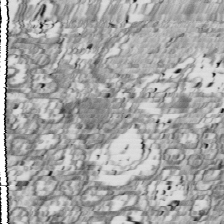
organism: Drosophila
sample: Cell division; meiosis; drosophila spermatocytes